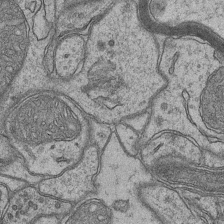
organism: Mouse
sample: CA1 Hippocampus